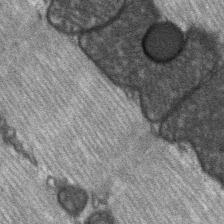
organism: C57BL Mouse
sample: Soleus